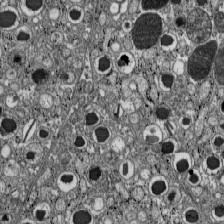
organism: C57BL Mouse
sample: Pancreatic islet